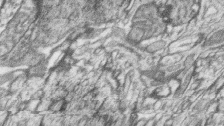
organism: Zebrafish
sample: synaptic ribbons in rod cells and cone cells